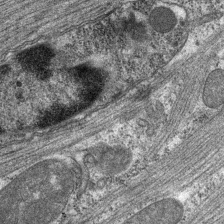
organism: C. elegans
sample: Pharynx